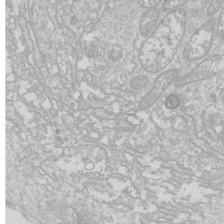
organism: Drosophila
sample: Cell division; meiosis; drosophila spermatocytes